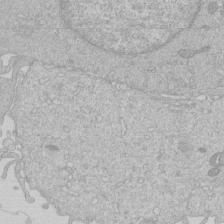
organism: Human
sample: Macrophage cells